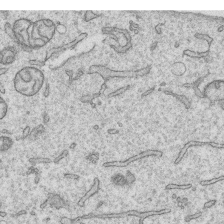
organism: Human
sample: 1205lu cells